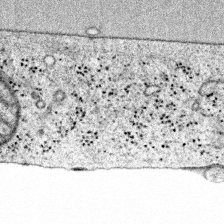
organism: Human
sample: HeLa cells